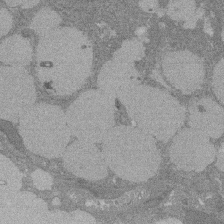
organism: Rat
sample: Salivary granule